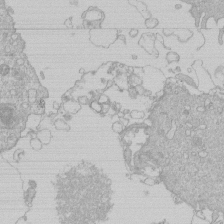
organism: Human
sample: Macrophage cells